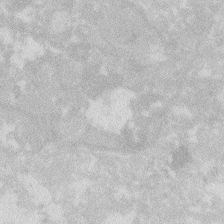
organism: Zebrafish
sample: Macrophage